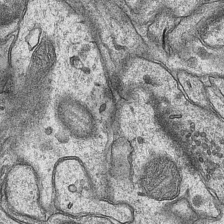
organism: Mouse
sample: CA1 Hippocampus